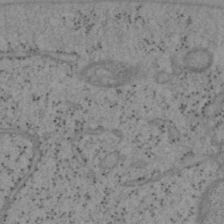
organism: Human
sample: HeLa cells